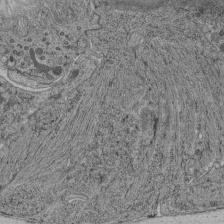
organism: C. elegans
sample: C. elegans pharynx